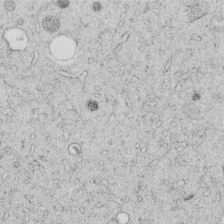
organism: C. elegans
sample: C. elegans embryo early stage